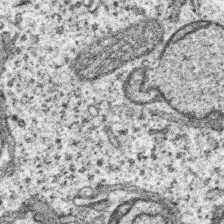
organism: Human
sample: HeLa cells